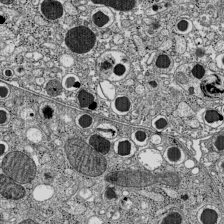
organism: C57BL Mouse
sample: Pancreatic islet